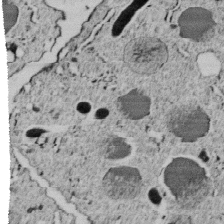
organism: C. elegans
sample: C. elegans embryo early stage